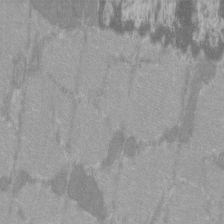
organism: C57BL Mouse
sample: Tibialis anterior muscle cell